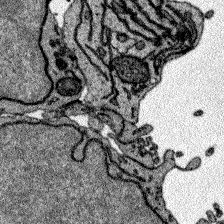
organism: Zebrafish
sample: Larval olfactory bulb